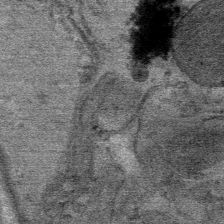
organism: Mouse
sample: Mouse Salivary gland